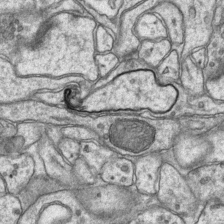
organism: Mouse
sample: CA1 Hippocampus